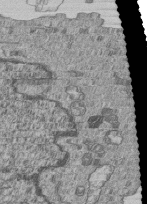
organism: Human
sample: MDA-MB-231 cells